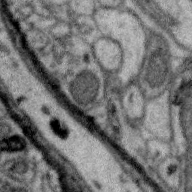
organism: Zebra finch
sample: Brain